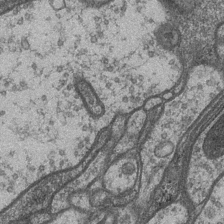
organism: Drosophila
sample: Optic medulla